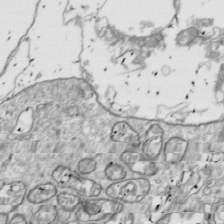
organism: Drosophila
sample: Cell division; meiosis; drosophila spermatocytes